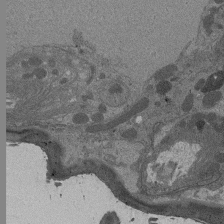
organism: Drosophila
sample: Antenna